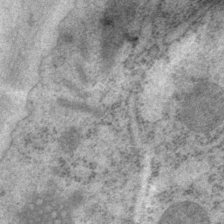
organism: P. pacificus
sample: Pharynx